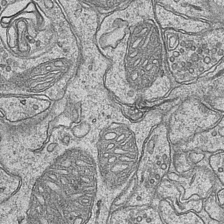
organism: Mouse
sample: CA1 Hippocampus